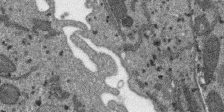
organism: Human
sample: Lung epithelial cells infected with SARS-CoV-2